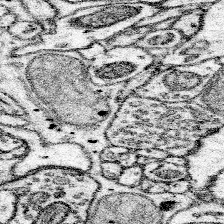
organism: Mouse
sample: Somatosensory cortex neuropil